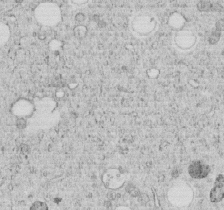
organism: C. elegans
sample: C. elegans embryo early stage